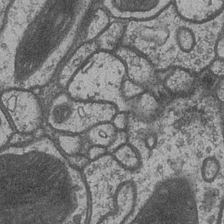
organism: Drosophila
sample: Optic medulla